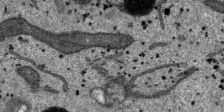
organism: Human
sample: Lung epithelial cells, uninfected (mock) control